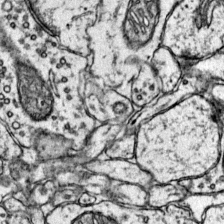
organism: Mouse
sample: Primary visual cortex